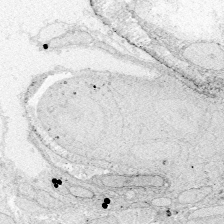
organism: Zebrafish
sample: Whole-Brain